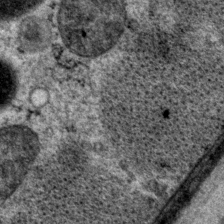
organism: P. pacificus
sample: Pharynx